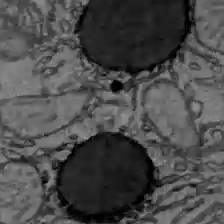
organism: C57BL Mouse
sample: Liver